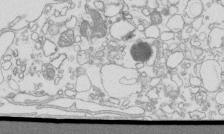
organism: Mouse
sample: Macrophages